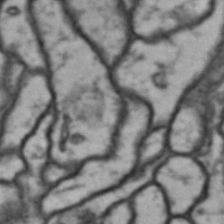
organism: Drosophila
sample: Brain